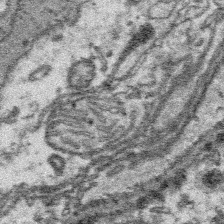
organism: Platynereis dumerilii